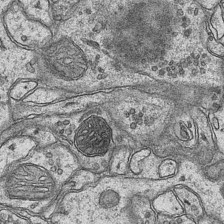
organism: Mouse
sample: CA1 Hippocampus